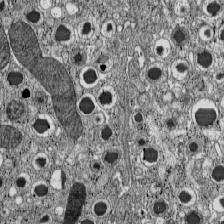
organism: C57BL Mouse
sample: Pancreatic islet